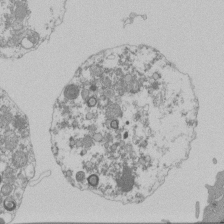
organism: Mouse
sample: Activated Pmel transgenic CD8+ T Cells